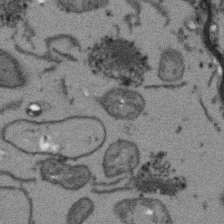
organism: Arabidopsis thaliana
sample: Root tip